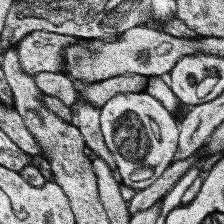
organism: Human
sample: Temporal Lobe